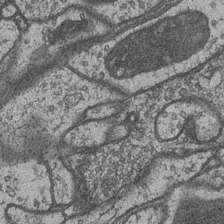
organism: Drosophila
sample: Optic medulla